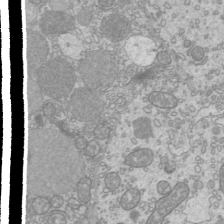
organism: Mouse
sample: Cilia; mouse epididymis